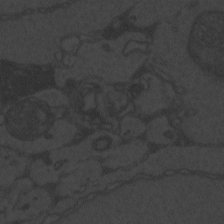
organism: Zebrafish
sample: Macrophage infected with Toxoplasma gondii